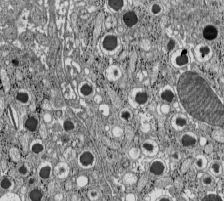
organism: C57BL Mouse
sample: Pancreatic islet